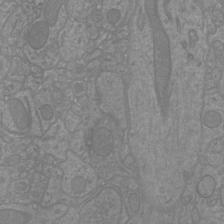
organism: Mouse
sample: Cortical neurons